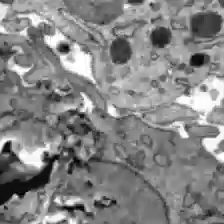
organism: C57BL Mouse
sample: Liver